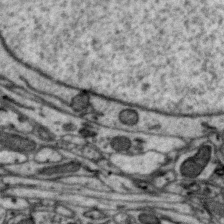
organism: Zebra finch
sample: Brain